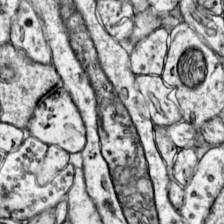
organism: Mouse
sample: Primary visual cortex